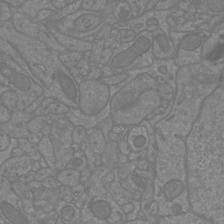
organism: Mouse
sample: Cortical neurons